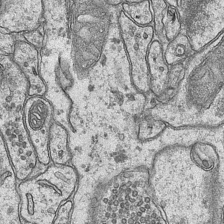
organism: Mouse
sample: CA1 Hippocampus